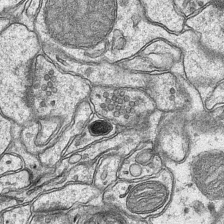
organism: Mouse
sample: CA1 Hippocampus